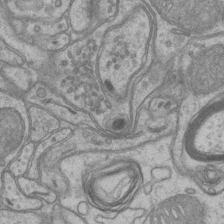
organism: Mouse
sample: CA1 Hippocampus